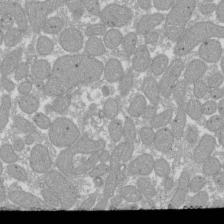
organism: Xenopus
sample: Cilia; centrioles in frog embryo cells